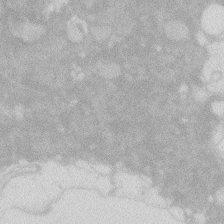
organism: Zebrafish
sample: Macrophage